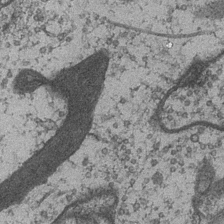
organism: Drosophila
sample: Optic medulla